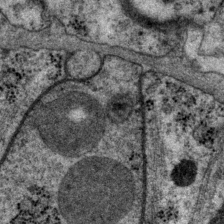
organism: P. pacificus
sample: Pharynx